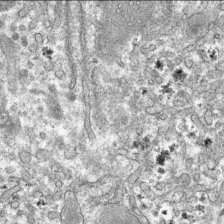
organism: Mouse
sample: Mouse hepatocytes